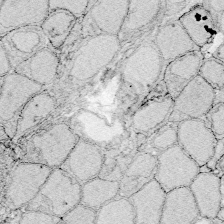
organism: Zebrafish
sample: Whole-Brain